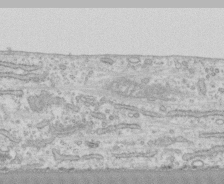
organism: Human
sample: CRL-1474